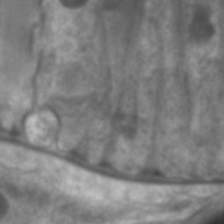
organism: C. elegans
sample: Pharynx